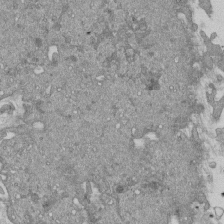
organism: Mouse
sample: ED-1 cell nuclei; centrioles